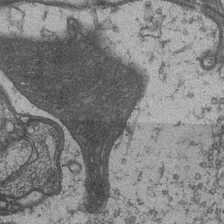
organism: Drosophila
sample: Optic medulla